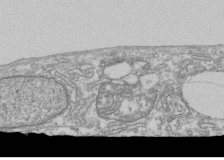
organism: Human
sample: Fibroblast cells